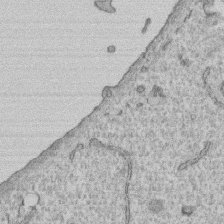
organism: Human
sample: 1205lu cells